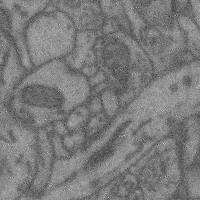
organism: Mouse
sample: Cerebral cortex